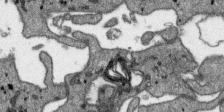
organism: Human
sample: Lung epithelial cells, uninfected (mock) control